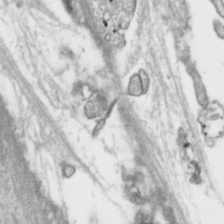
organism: Toxoplasma gondii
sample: Parasites in a vacuole inside a host cell